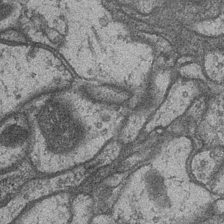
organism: Drosophila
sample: Optic medulla